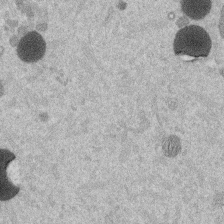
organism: Mouse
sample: Dividing mouse embryo 1 cell stage